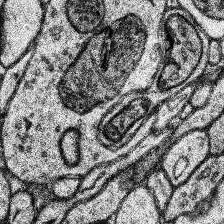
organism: Human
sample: Temporal Lobe